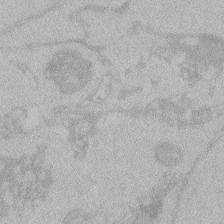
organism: Zebrafish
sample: Macrophage infected with Toxoplasma gondii